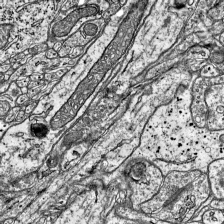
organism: Mouse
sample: Visual Cortex